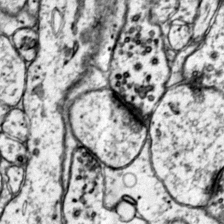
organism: Mouse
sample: Primary visual cortex